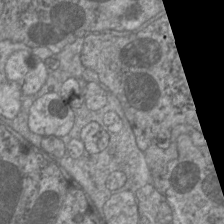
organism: C. elegans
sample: Pharynx